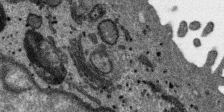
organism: Human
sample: Lung epithelial cells, uninfected (mock) control